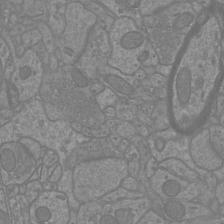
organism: Mouse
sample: Cortical neurons